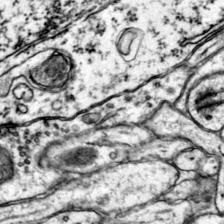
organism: Mouse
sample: Primary visual cortex